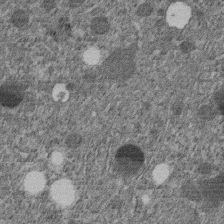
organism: C. elegans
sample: C. elegans embryo early stage